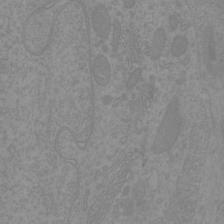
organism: Mouse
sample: Cortical neurons